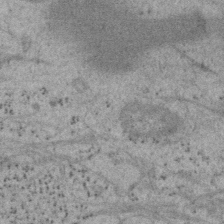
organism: Human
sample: HeLa cells